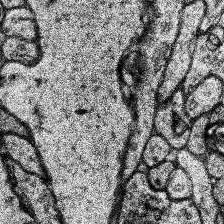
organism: Human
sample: Temporal Lobe